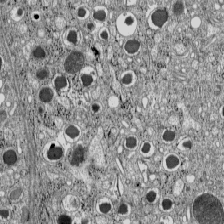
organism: C57BL Mouse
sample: Pancreatic islet